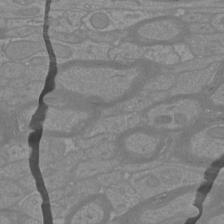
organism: Mouse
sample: Cortical neurons